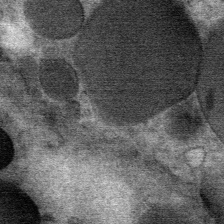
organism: Mouse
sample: Mouse Salivary gland